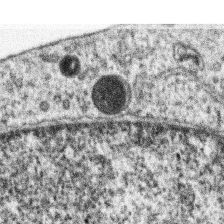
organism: Human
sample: HeLa cells